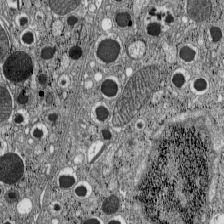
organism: C57BL Mouse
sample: Pancreatic islet